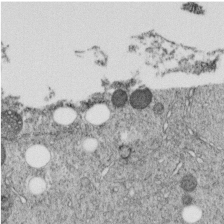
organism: C. elegans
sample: C. elegans embryo early stage